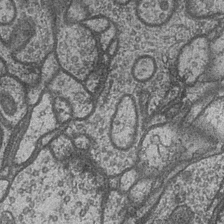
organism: Drosophila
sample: Optic medulla